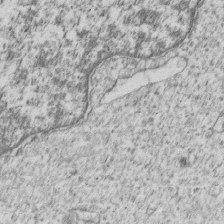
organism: Human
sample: MDA-MB-231 cells